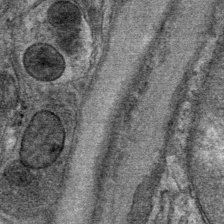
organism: Mouse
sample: Mouse Salivary gland